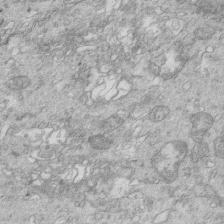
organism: Mouse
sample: Multiciliated cells